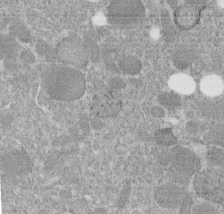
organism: C. elegans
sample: C. elegans embryo early stage